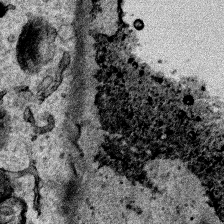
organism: Human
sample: Mitochondria in HCT116 cells